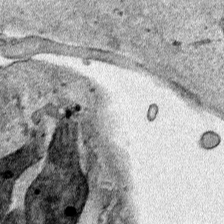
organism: Human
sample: Mitochondria in HCT116 cells